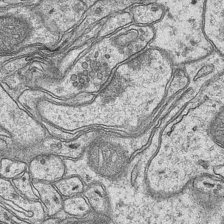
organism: Mouse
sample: CA1 Hippocampus